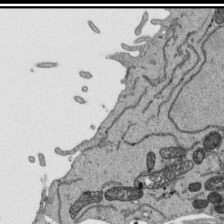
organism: Human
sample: Mitochondria in HCT116 cells